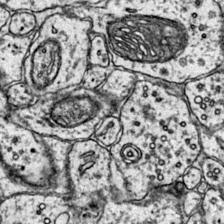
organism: Mouse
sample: Primary visual cortex